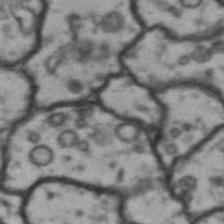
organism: Drosophila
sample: Brain